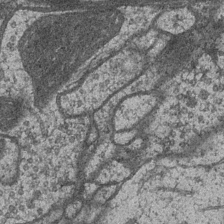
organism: Drosophila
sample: Optic medulla